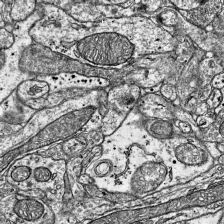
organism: Mouse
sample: Visual Cortex